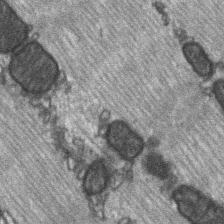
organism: C57BL Mouse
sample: Soleus